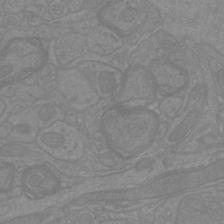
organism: Mouse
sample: Cortical neurons